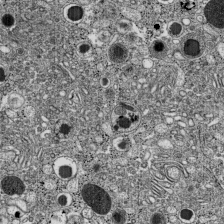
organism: C57BL Mouse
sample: Pancreatic islet